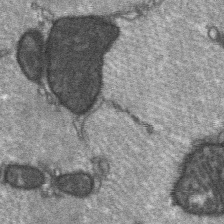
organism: C57BL Mouse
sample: Soleus